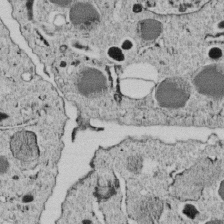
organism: C. elegans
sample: C. elegans embryo early stage